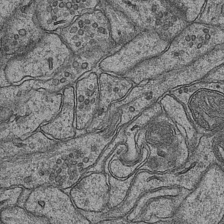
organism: Mouse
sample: CA1 Hippocampus